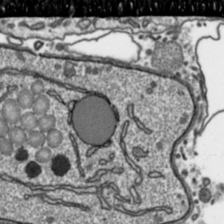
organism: Toxoplasma gondii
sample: Parasites in a vacuole inside a host cell